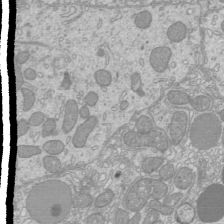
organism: Mouse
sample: Cilia; mouse epididymis